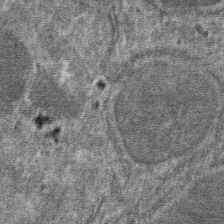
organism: Mouse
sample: Mouse hepatocytes